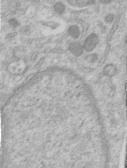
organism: Human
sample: Centriole in RPE cells